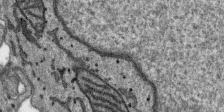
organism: Human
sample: Lung epithelial cells, uninfected (mock) control